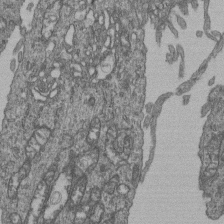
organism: Human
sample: Retinal organoid Rod and Cone cells